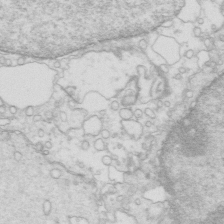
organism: Mouse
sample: Multiciliated cells